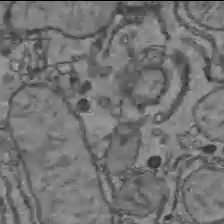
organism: C57BL Mouse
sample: Liver